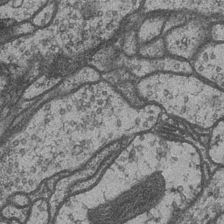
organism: Drosophila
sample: Optic medulla